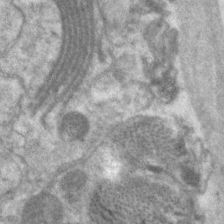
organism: C. elegans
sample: Pharynx